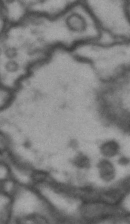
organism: Drosophila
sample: Brain